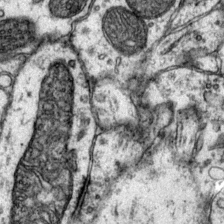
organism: Mouse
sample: Primary visual cortex